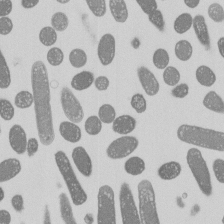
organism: E. coli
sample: Bacterial nucleoid